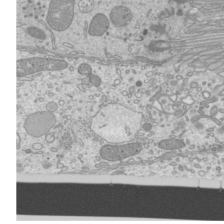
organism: Mouse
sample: Cilia; mouse epididymis